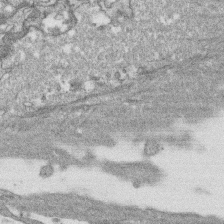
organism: Human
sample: CRL-1474